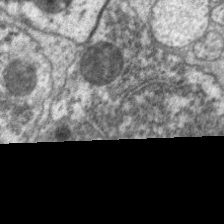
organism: C. elegans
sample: Pharynx